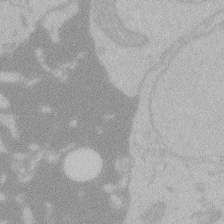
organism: Zebrafish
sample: Macrophage infected with Toxoplasma gondii